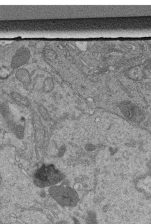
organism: Human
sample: Retinal organoid Rod and Cone cells